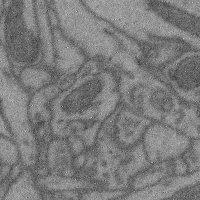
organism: Mouse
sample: Cerebral cortex